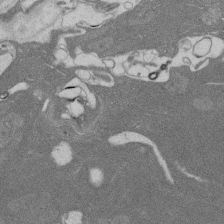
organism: Rat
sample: Salivary granule